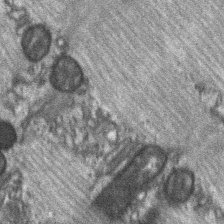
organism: C57BL Mouse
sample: Soleus